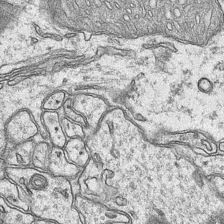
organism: Mouse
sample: CA1 Hippocampus